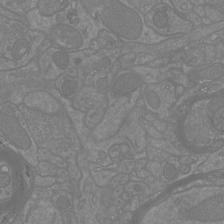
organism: Mouse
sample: Cortical neurons